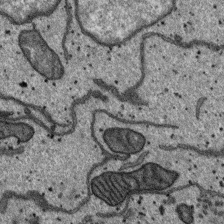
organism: Human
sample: Lung epithelial cells, uninfected (mock) control